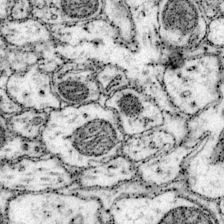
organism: Mouse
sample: Primary visual cortex